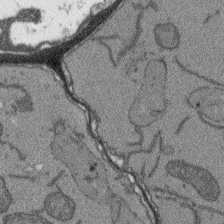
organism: Arabidopsis thaliana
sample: Root tip